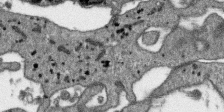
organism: Human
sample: Lung epithelial cells, uninfected (mock) control